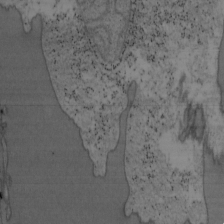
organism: Mouse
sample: OT-I killer T cells with ID8 ovarian cancer cells